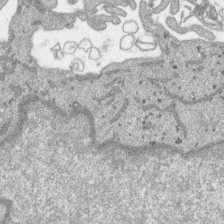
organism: Human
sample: Lung epithelial cells infected with SARS-CoV-2